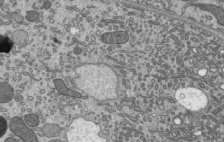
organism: Mouse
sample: Mouse epididymis efferent ductule cilia